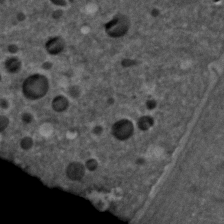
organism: C. elegans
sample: C. elegans embryo